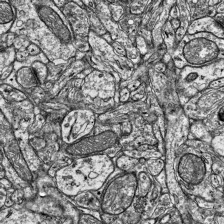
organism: Mouse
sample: Visual Cortex